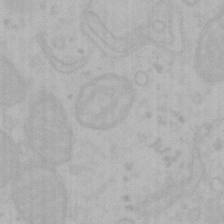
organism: Mouse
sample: Choroid plexus